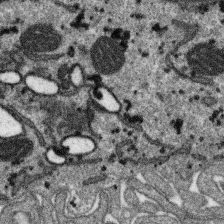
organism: Human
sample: Lung epithelial cells infected with SARS-CoV-2